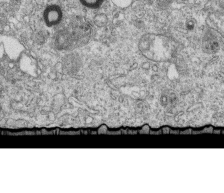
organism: Human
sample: HeLa cell HIV synapse